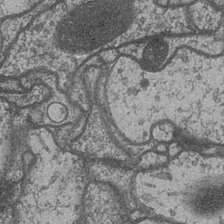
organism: Drosophila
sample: Optic medulla